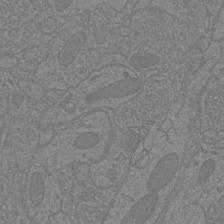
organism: Mouse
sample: Cortical neurons